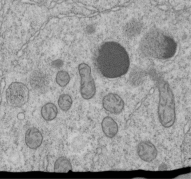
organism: C. elegans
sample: C. elegans embryo early stage